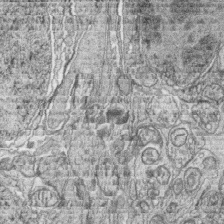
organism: Zebrafish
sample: synaptic ribbons in rod cells and cone cells